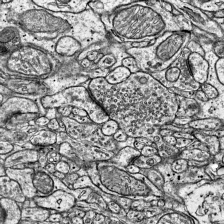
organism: Mouse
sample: Visual Cortex